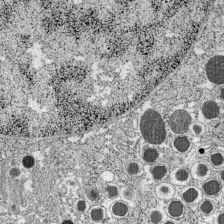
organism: C57BL Mouse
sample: Pancreatic islet